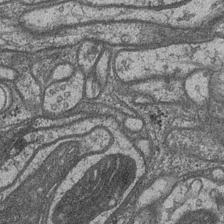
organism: Drosophila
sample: Optic medulla